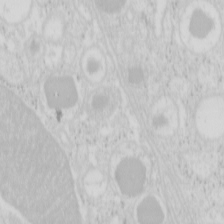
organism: Mouse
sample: Pancreas